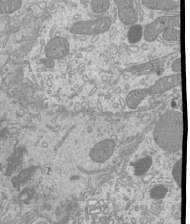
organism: Mouse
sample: Cilia; mouse epididymis